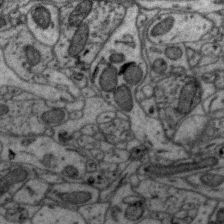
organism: Zebra finch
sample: Brain